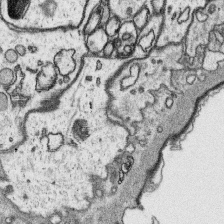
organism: Platynereis dumerilii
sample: Parapodia